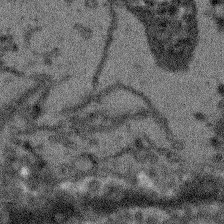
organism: Arabidopsis thaliana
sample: Root tip